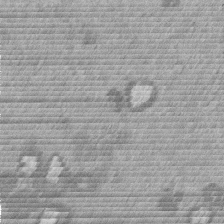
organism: Mouse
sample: Dividing mouse embryo 1 cell stage